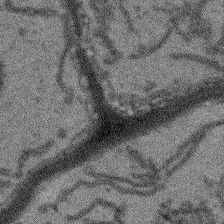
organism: Arabidopsis thaliana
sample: Root tip